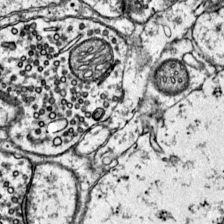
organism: Mouse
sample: Primary visual cortex